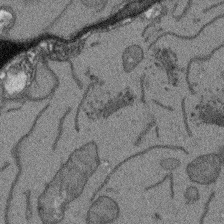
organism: Arabidopsis thaliana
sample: Root tip